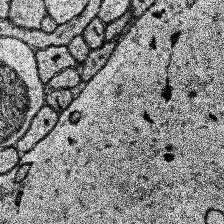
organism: Human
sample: Temporal Lobe